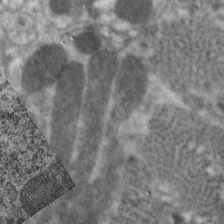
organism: C. elegans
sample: Pharynx